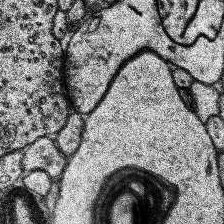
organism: Human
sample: Temporal Lobe